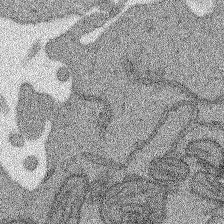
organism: Human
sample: HeLa cells